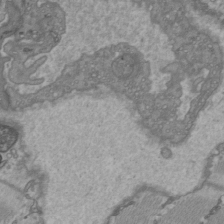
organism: C57BL Mouse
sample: Heart